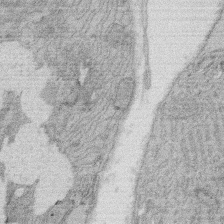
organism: Rat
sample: Salivary granule